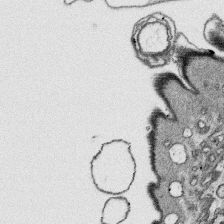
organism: Platynereis dumerilii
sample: Parapodia